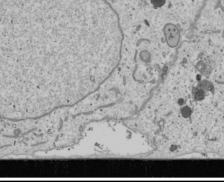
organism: Human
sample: Mitochondria in U2OS cells